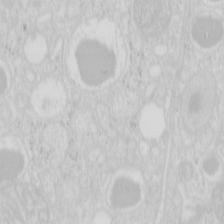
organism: Mouse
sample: Pancreas